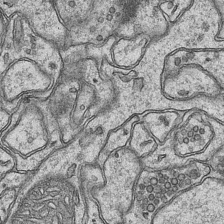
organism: Mouse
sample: CA1 Hippocampus